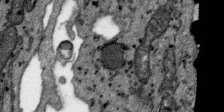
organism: Human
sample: Lung epithelial cells, uninfected (mock) control